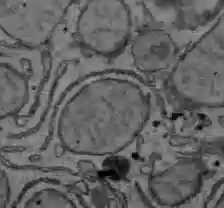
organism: C57BL Mouse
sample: Liver